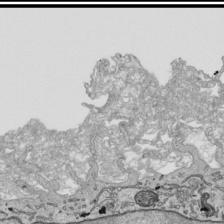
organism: Human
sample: Mitochondria in HCT116 cells